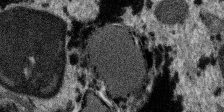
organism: Human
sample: Lung epithelial cells infected with SARS-CoV-2